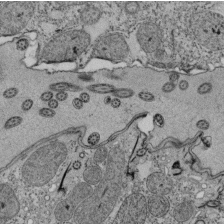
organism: Tetrahymena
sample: Cilia in tetrahymena